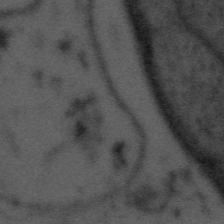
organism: Tuwongella immobilis